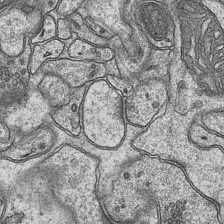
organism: Mouse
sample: CA1 Hippocampus